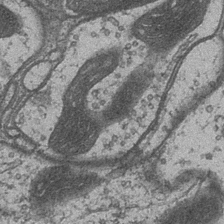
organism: Drosophila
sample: Optic medulla